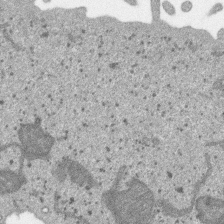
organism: Human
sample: Lung epithelial cells infected with SARS-CoV-2